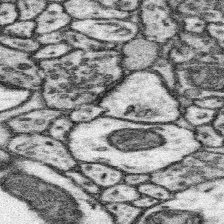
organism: Mouse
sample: Somatosensory cortex neuropil